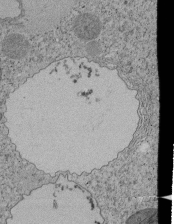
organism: Tetrahymena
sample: Cilia in tetrahymena